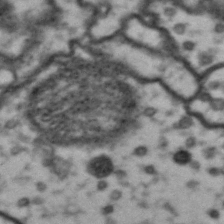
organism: Drosophila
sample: Brain